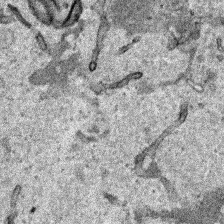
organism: Human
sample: Mitochondria in HCT116 cells